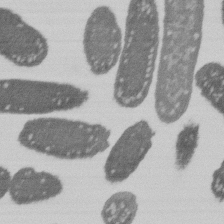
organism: E. coli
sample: Bacterial nucleoid